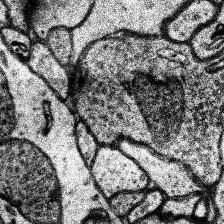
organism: Human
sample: Temporal Lobe